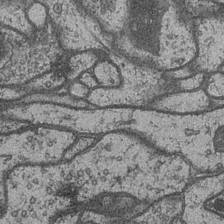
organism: Drosophila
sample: Optic medulla